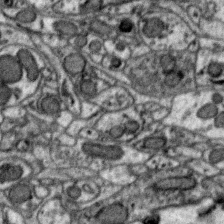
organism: Zebra finch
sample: Brain